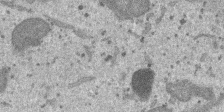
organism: Human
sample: Lung epithelial cells infected with SARS-CoV-2